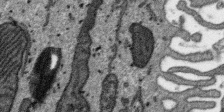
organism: Human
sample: Lung epithelial cells, uninfected (mock) control